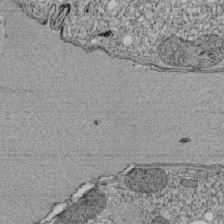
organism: Tetrahymena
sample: Cilia in tetrahymena